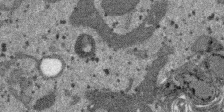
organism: Human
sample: Lung epithelial cells infected with SARS-CoV-2